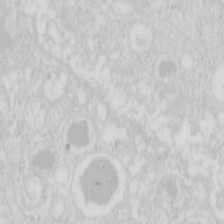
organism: Mouse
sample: Pancreas